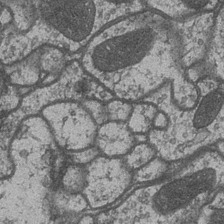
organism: Drosophila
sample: Optic medulla